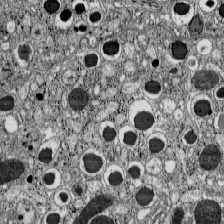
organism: C57BL Mouse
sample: Pancreatic islet